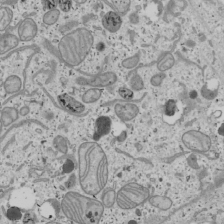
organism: Human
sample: Mitochondria in U2OS cells